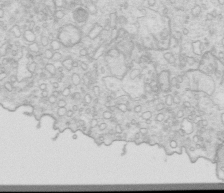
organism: Mouse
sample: Multiciliated cells